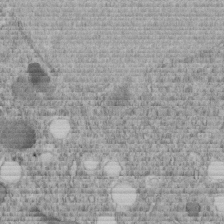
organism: C. elegans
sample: C. elegans embryo early stage